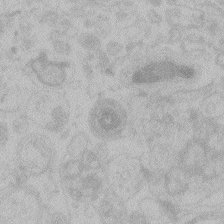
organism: Zebrafish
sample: Macrophage infected with Toxoplasma gondii